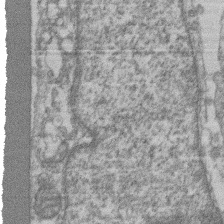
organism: Mouse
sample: T cell stromal cell synapse